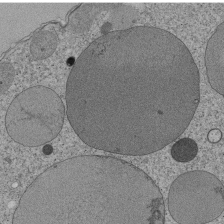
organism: Tetrahymena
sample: Cilia in tetrahymena